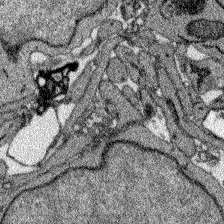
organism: Zebrafish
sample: Larval olfactory bulb